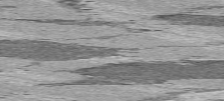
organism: C57BL Mouse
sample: Heart